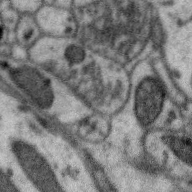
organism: Zebra finch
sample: Brain